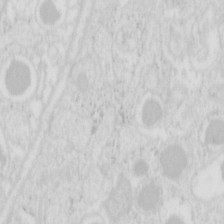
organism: Mouse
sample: Pancreas